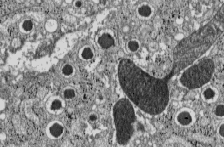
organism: C57BL Mouse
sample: Pancreatic islet